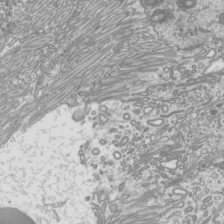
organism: Mouse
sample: Cilia; mouse epididymis